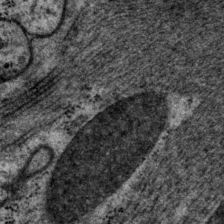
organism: P. pacificus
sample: Pharynx